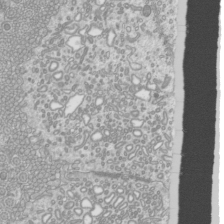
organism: Mouse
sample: Cilia; mouse epididymis